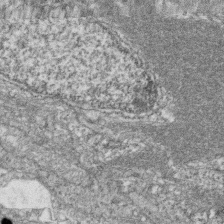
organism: Zebrafish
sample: Cilia; retinal pigment epithelium